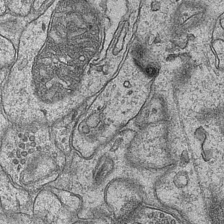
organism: Mouse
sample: CA1 Hippocampus